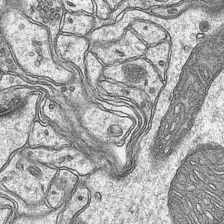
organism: Mouse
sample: CA1 Hippocampus